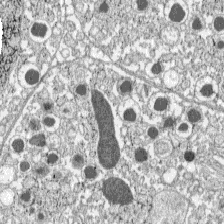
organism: C57BL Mouse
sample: Pancreatic islet